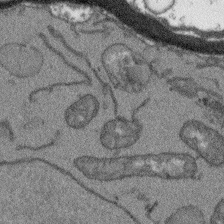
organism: Arabidopsis thaliana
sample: Root tip